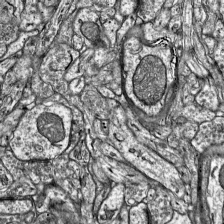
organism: Mouse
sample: Visual Cortex